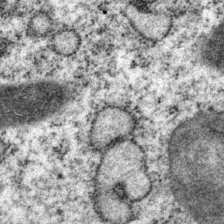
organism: P. pacificus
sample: Pharynx